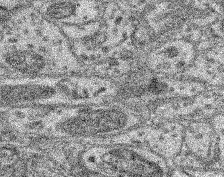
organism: Mouse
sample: Retina